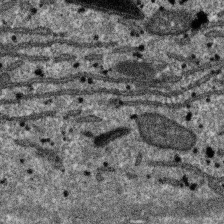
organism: Human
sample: Lung epithelial cells infected with SARS-CoV-2